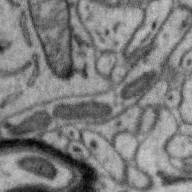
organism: Zebra finch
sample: Brain